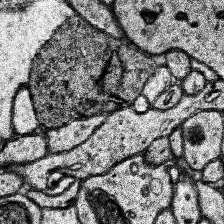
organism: Human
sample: Temporal Lobe